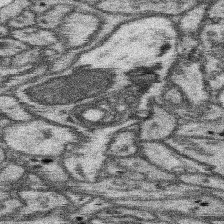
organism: Mouse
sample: Somatosensory cortex neuropil